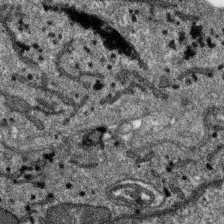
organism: Human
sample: Lung epithelial cells infected with SARS-CoV-2